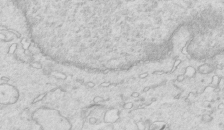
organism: Mouse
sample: Multiciliated cells